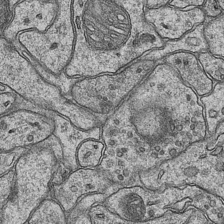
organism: Mouse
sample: CA1 Hippocampus